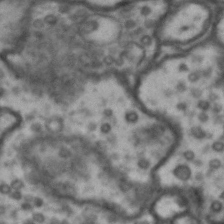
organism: Drosophila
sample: Brain